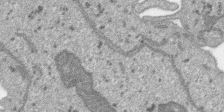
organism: Human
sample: Lung epithelial cells infected with SARS-CoV-2